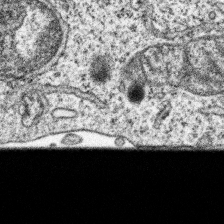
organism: Human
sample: HeLa cells